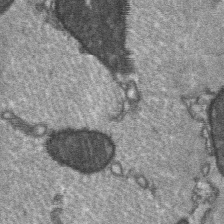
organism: C57BL Mouse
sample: Soleus